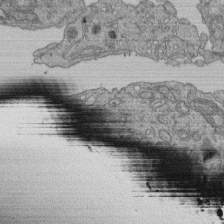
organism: Human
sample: Retinal organoid Rod and Cone cells